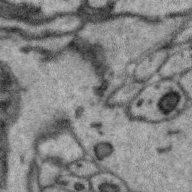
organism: Zebra finch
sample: Brain